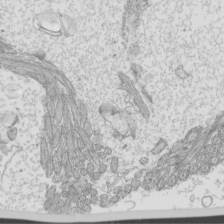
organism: Mouse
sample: Cilia; mouse epididymis